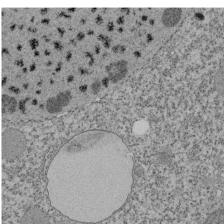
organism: Tetrahymena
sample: Cilia in tetrahymena